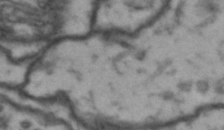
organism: Drosophila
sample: Brain